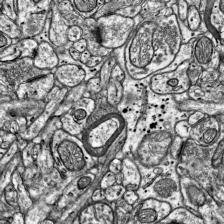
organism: Mouse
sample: Visual Cortex